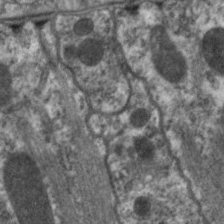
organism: C. elegans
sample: Pharynx